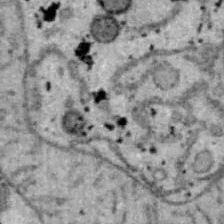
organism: Mouse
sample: Liver from an obese (ob/ob) mouse